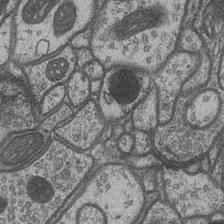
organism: Drosophila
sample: Optic medulla